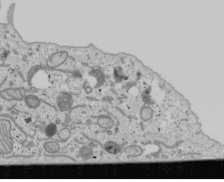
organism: Human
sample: Mitochondria in U2OS cells